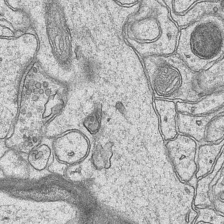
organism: Mouse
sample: CA1 Hippocampus